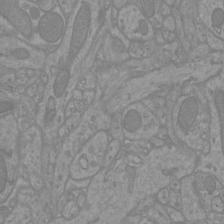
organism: Mouse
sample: Cortical neurons